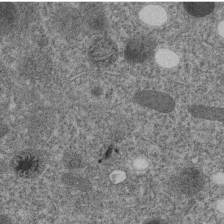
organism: C. elegans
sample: C. elegans embryo early stage